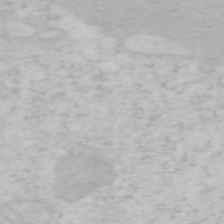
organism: Mouse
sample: OT-I killer T cells with ID8 ovarian cancer cells